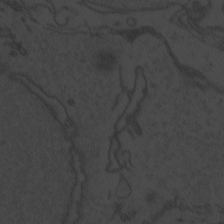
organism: Zebrafish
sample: Macrophage infected with Toxoplasma gondii